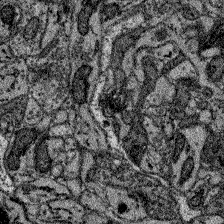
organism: Zebrafish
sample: Larval olfactory bulb